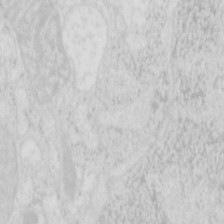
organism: Mouse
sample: Pancreas